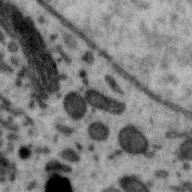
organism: Zebra finch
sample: Brain